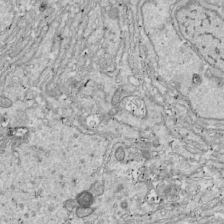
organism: Drosophila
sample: Cell division; meiosis; drosophila spermatocytes